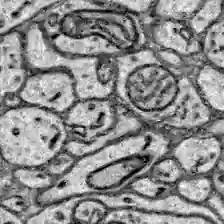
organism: Zebrafish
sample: Brain